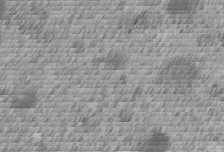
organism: C. elegans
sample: C. elegans embryo early stage